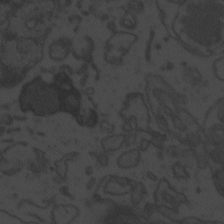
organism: Zebrafish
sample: Macrophage infected with Toxoplasma gondii